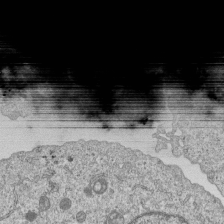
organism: Human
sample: MDA-MB-231 cells